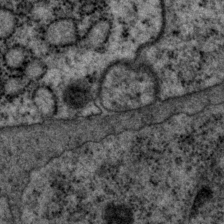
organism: P. pacificus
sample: Pharynx